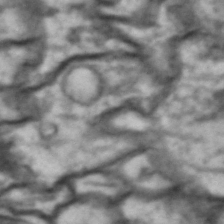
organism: Drosophila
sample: Brain